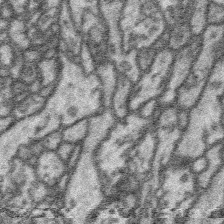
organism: Platynereis dumerilii